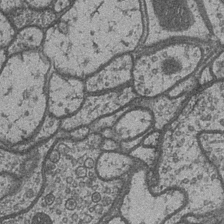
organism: Drosophila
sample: Optic medulla